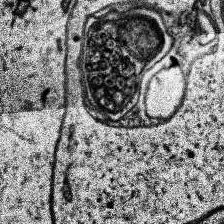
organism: Human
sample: Temporal Lobe